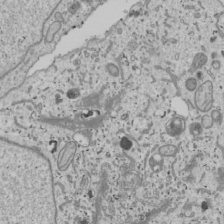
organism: Human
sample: Mitochondria in U2OS cells